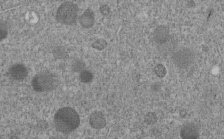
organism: C. elegans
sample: C. elegans embryo early stage